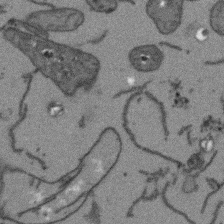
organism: Arabidopsis thaliana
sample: Root tip